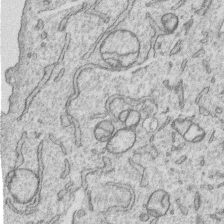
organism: Human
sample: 1205lu cells